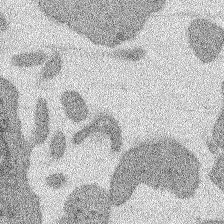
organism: Human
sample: HeLa cells